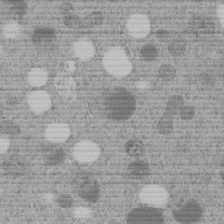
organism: C. elegans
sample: C. elegans embryo early stage